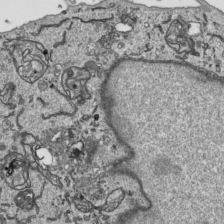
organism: Human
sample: Mitochondria in HCT116 cells